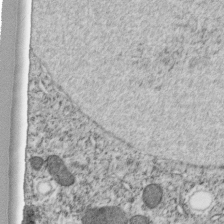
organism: C. elegans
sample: C. elegans embryo early stage